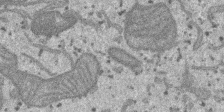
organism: Human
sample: Lung epithelial cells infected with SARS-CoV-2